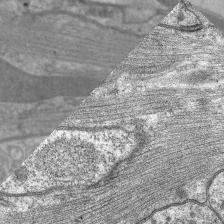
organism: C. elegans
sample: Pharynx